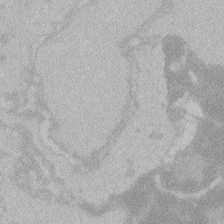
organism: Zebrafish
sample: Macrophage infected with Toxoplasma gondii